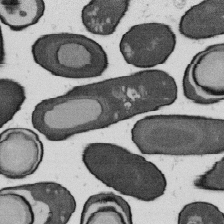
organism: B. subtilis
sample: Bacterial spore